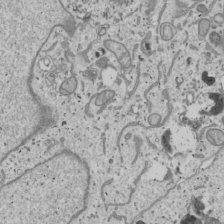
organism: Human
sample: Mitochondria in U2OS cells